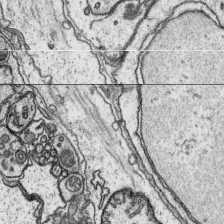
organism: Platynereis dumerilii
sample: Parapodia